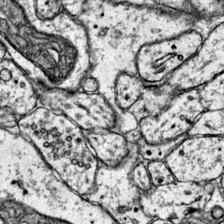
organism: Mouse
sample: Primary visual cortex